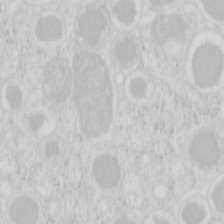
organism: Mouse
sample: Pancreas